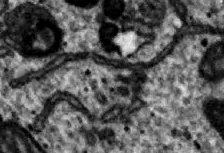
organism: Human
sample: HeLa cells